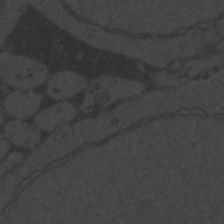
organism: Zebrafish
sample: Macrophage infected with Toxoplasma gondii